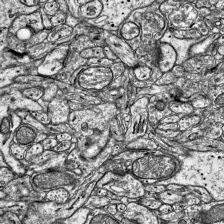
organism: Mouse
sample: Visual Cortex